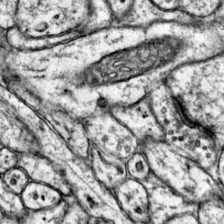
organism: Mouse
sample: Primary visual cortex